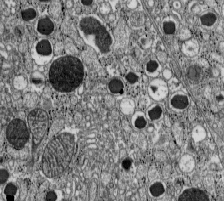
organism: C57BL Mouse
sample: Pancreatic islet